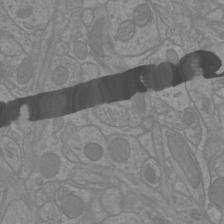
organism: Mouse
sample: Cortical neurons